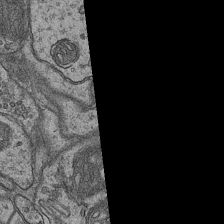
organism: Mouse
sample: CA1 Hippocampus